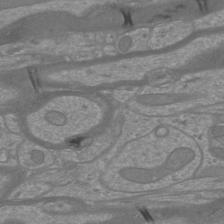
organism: Mouse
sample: Cortical neurons